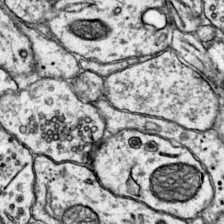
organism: Mouse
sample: Primary visual cortex